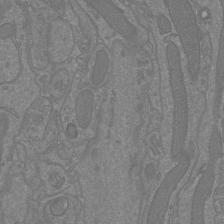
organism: Mouse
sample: Cortical neurons